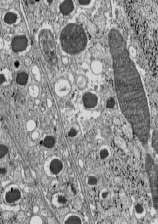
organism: C57BL Mouse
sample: Pancreatic islet